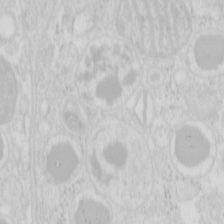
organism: Mouse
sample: Pancreas